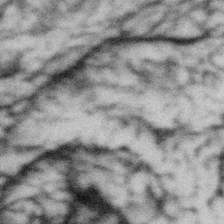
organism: Gemmata obscuriglobus